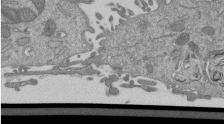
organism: Mouse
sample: ED-1 cell nuclei; centrioles